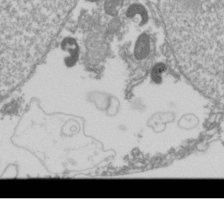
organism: Drosophila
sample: Cell division; meiosis; drosophila spermatocytes